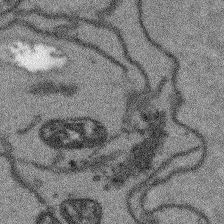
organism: Arabidopsis thaliana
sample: Root tip